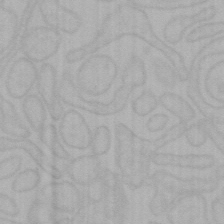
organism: Mouse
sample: Choroid plexus